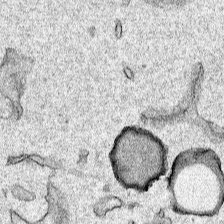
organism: Human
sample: Mitochondria in HCT116 cells